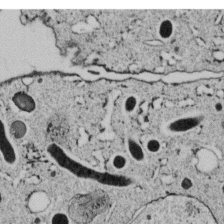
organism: C. elegans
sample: C. elegans embryo early stage